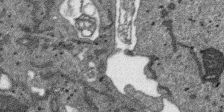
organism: Human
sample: Lung epithelial cells infected with SARS-CoV-2